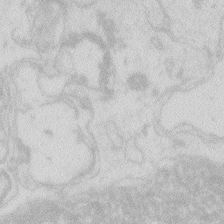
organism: Zebrafish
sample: Macrophage